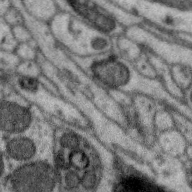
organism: Zebra finch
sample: Brain